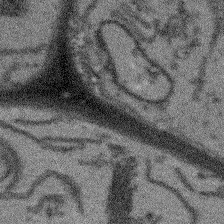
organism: Arabidopsis thaliana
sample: Root tip